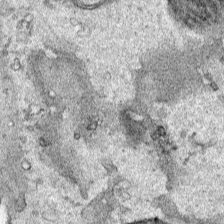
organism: Human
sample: Mitochondria in HCT116 cells